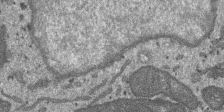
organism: Human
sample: Lung epithelial cells infected with SARS-CoV-2